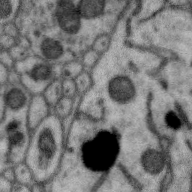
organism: Zebra finch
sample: Brain